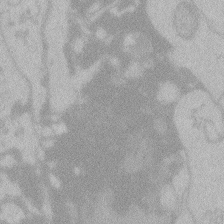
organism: Zebrafish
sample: Macrophage infected with Toxoplasma gondii